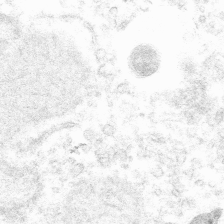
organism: Mouse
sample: Mouse hepatocytes